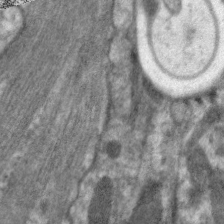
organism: C. elegans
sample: Pharynx